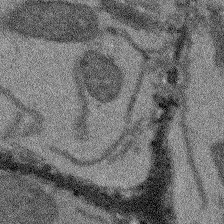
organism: Arabidopsis thaliana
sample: Root tip